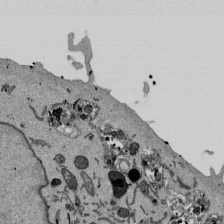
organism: Mouse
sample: ED-1 cell nuclei; centrioles